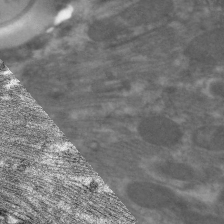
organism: C. elegans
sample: Pharynx